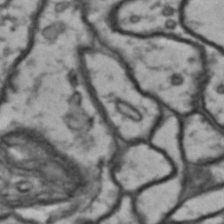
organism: Drosophila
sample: Brain